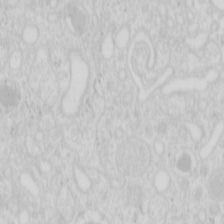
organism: Mouse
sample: Pancreas